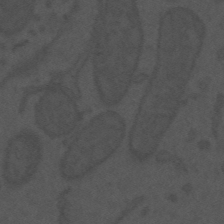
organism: Mouse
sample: Suprachiasmatic nucleus